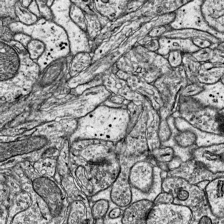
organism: Mouse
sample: Visual Cortex